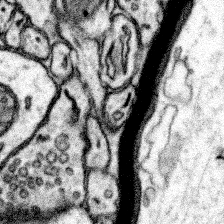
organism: Mouse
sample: Somatosensory cortex neuropil